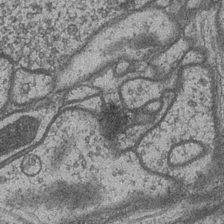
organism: Drosophila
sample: Optic medulla